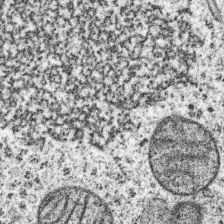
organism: Human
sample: HeLa cells